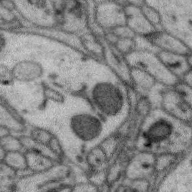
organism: Zebra finch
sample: Brain